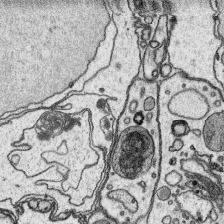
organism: Platynereis dumerilii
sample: Parapodia